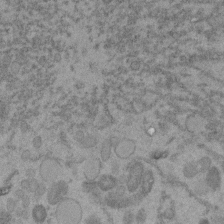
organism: C. elegans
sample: C. elegans embryo early stage